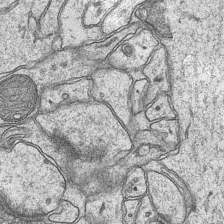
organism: Mouse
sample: CA1 Hippocampus